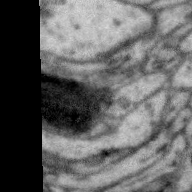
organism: Zebra finch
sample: Brain